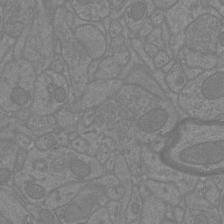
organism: Mouse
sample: Cortical neurons